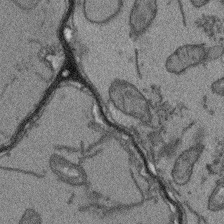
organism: Arabidopsis thaliana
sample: Root tip